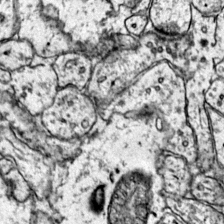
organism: Mouse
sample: Primary visual cortex